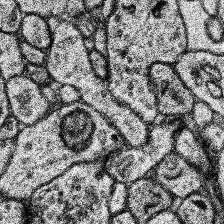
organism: Human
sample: Temporal Lobe